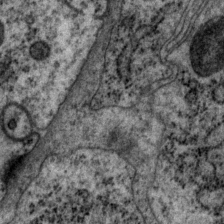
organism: P. pacificus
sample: Pharynx